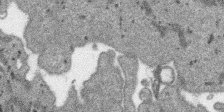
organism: Human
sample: Lung epithelial cells infected with SARS-CoV-2